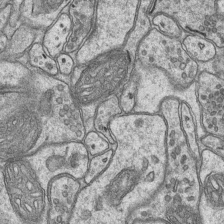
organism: Mouse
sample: CA1 Hippocampus